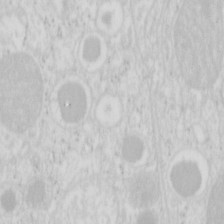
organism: Mouse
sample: Pancreas